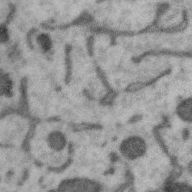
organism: Zebra finch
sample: Brain